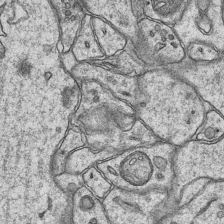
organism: Mouse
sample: CA1 Hippocampus